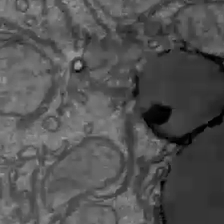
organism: C57BL Mouse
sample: Liver